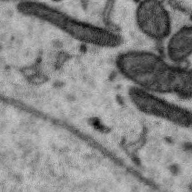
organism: Zebra finch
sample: Brain